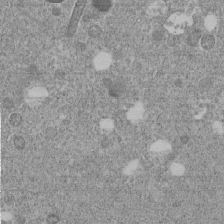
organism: C. elegans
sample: C. elegans embryo early stage